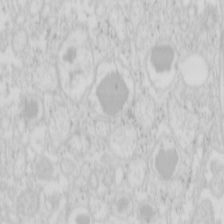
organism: Mouse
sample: Pancreas